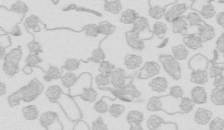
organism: Mouse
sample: Multiciliated cells